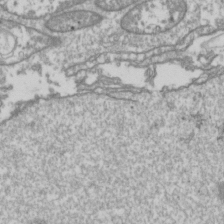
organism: Drosophila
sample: Cell division; meiosis; drosophila spermatocytes